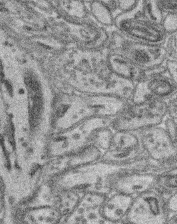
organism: Mouse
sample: Retina